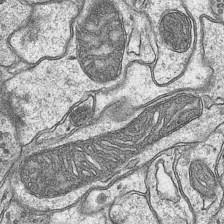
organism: Mouse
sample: CA1 Hippocampus